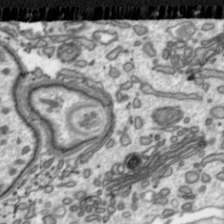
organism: Toxoplasma gondii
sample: Parasites in a vacuole inside a host cell